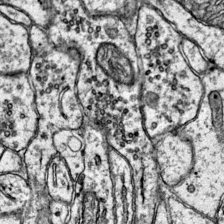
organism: Mouse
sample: Primary visual cortex